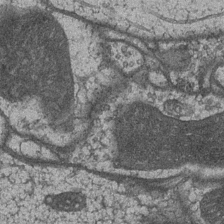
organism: Drosophila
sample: Optic medulla